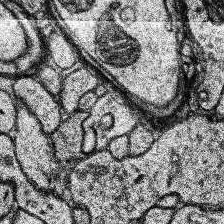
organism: Human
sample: Temporal Lobe